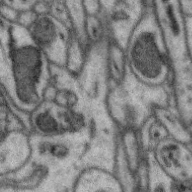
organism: Zebra finch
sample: Brain